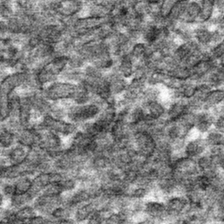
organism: Mouse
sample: Mouse hepatocytes